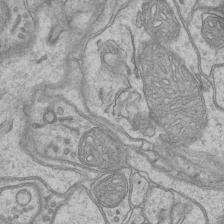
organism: Mouse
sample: CA1 Hippocampus